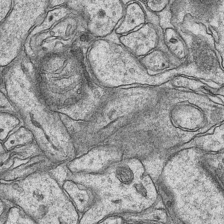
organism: Mouse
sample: CA1 Hippocampus